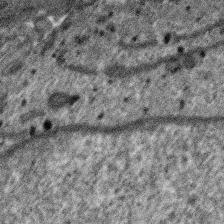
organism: Human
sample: Lung epithelial cells infected with SARS-CoV-2